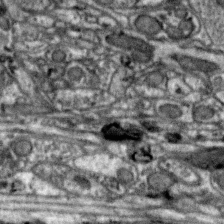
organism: Zebra finch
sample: Brain